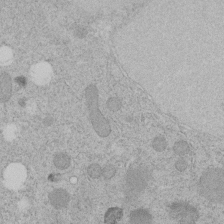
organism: C. elegans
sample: C. elegans embryo early stage